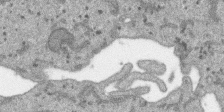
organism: Human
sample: Lung epithelial cells infected with SARS-CoV-2